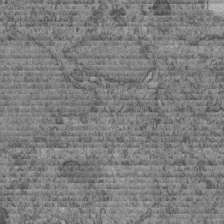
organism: C. elegans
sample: C. elegans embryo early stage